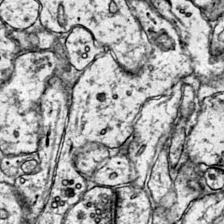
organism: Mouse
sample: Primary visual cortex